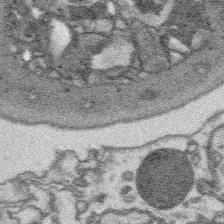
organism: Platynereis dumerilii